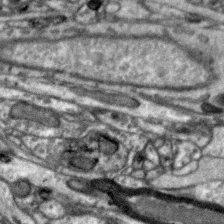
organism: Zebra finch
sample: Brain